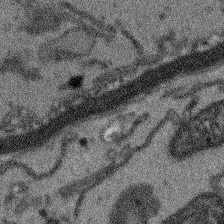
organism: Arabidopsis thaliana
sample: Root tip